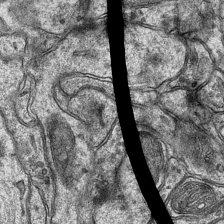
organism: Mouse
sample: CA1 Hippocampus